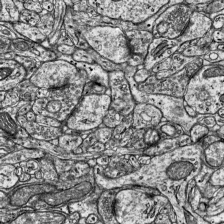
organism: Mouse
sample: Visual Cortex